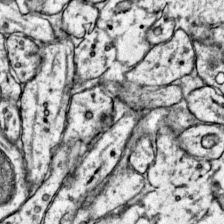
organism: Mouse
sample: Primary visual cortex